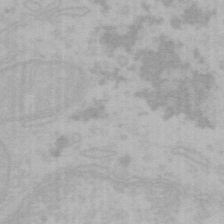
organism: Mouse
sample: Choroid plexus